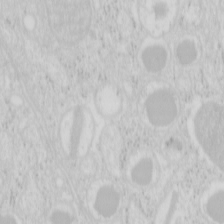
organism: Mouse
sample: Pancreas